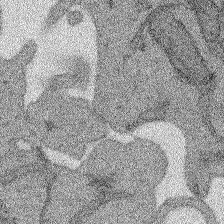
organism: Human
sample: HeLa cells